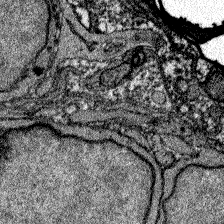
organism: Zebrafish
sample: Larval olfactory bulb